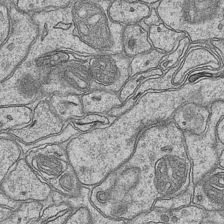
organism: Mouse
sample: CA1 Hippocampus